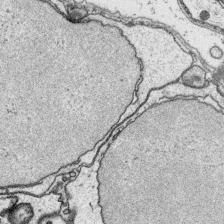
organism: Platynereis dumerilii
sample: Parapodia